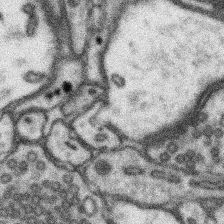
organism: Mouse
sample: Somatosensory cortex neuropil